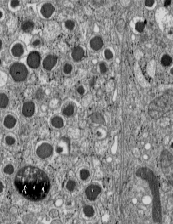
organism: C57BL Mouse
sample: Pancreatic islet